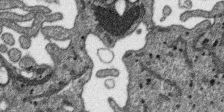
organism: Human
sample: Lung epithelial cells infected with SARS-CoV-2